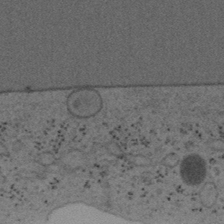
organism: Human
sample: HeLa cells